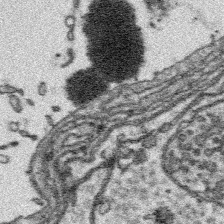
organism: Platynereis dumerilii